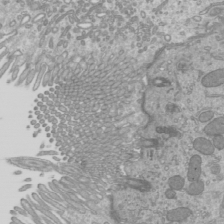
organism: Mouse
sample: Cilia; mouse epididymis